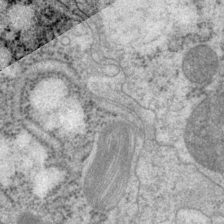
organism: P. pacificus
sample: Pharynx